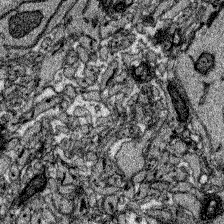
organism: Zebrafish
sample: Larval olfactory bulb